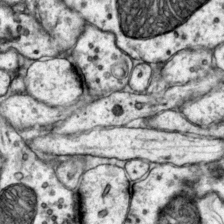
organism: Mouse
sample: Primary visual cortex